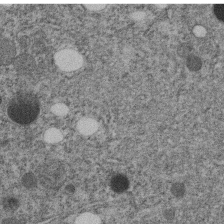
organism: C. elegans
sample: C. elegans embryo early stage